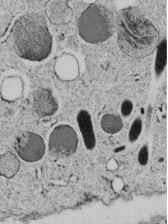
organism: C. elegans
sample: C. elegans embryo early stage